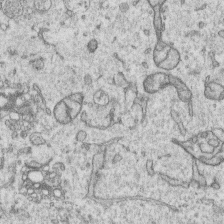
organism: Human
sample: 1205lu cells